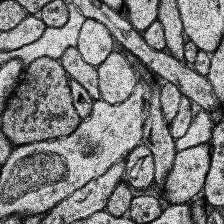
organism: Human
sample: Temporal Lobe